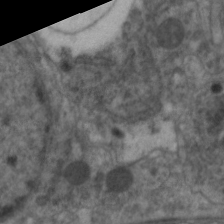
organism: C. elegans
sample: Pharynx